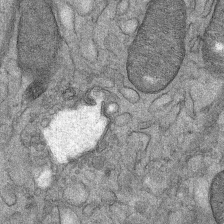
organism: Mouse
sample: Mouse Salivary gland